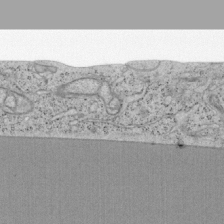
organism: Human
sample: HeLa cells